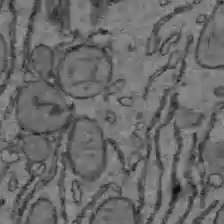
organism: C57BL Mouse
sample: Liver